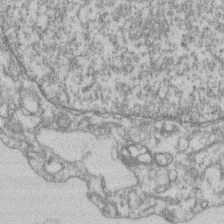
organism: Mouse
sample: T cell stromal cell synapse